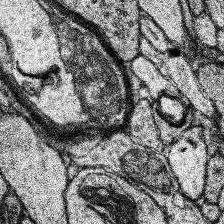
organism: Human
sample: Temporal Lobe